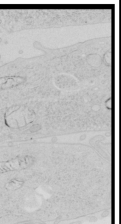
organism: Human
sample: Mitochondria in HCT116 cells